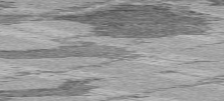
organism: C57BL Mouse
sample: Heart